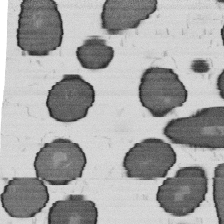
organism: B. subtilis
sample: Bacterial spore